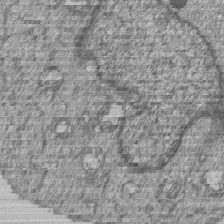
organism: Human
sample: MDA-MB-231 cells